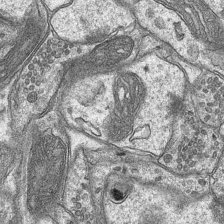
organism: Mouse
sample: CA1 Hippocampus